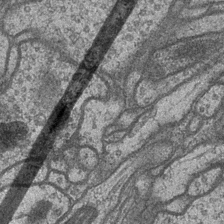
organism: Drosophila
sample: Optic medulla